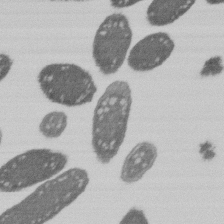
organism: E. coli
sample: Bacterial nucleoid